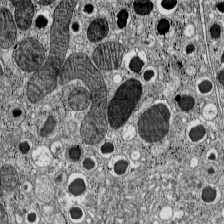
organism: C57BL Mouse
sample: Pancreatic islet